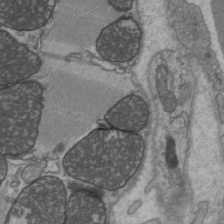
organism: C57BL Mouse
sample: Heart